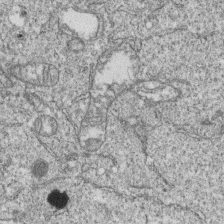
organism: Human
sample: HeLa cell HIV synapse